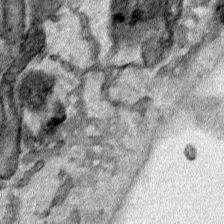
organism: Human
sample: Mitochondria in HCT116 cells